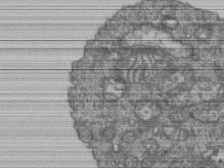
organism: Human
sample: Retinal organoid Rod and Cone cells